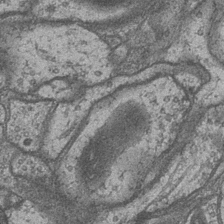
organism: Drosophila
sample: Optic medulla